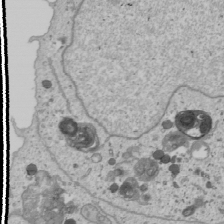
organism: Human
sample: Mitochondria in U2OS cells